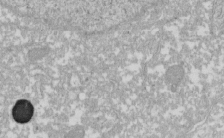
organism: Xenopus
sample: Cilia; centrioles in frog embryo cells